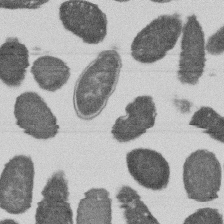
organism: E. coli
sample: Bacterial nucleoid